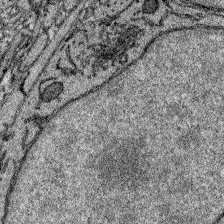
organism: Zebrafish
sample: Larval olfactory bulb